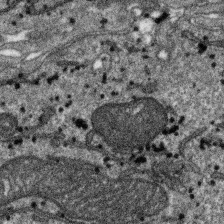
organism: Human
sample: Lung epithelial cells infected with SARS-CoV-2